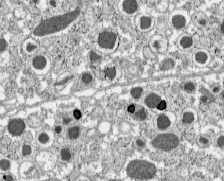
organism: C57BL Mouse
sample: Pancreatic islet